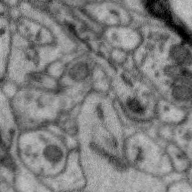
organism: Zebra finch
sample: Brain